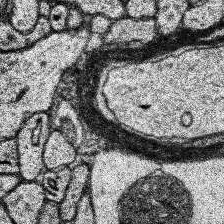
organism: Human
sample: Temporal Lobe